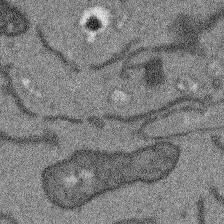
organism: Arabidopsis thaliana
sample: Root tip